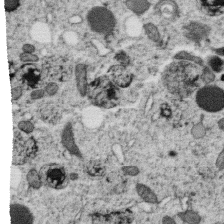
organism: C. elegans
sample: C. elegans oocyte; sperm cells